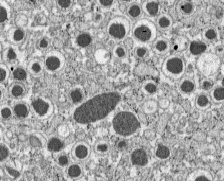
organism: C57BL Mouse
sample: Pancreatic islet